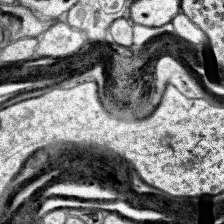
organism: Human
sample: Temporal Lobe